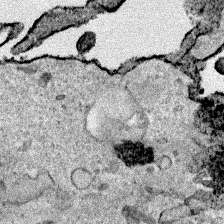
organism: Human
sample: Mitochondria in HCT116 cells